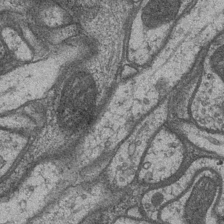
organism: Drosophila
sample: Optic medulla